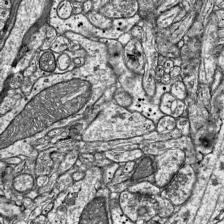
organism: Mouse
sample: Visual Cortex